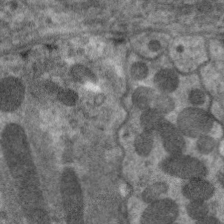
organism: C. elegans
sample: Pharynx